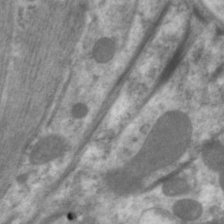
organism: C. elegans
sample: Pharynx